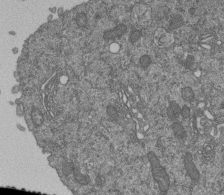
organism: Human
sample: Retinal organoid Rod and Cone cells